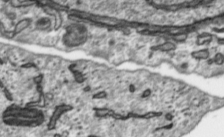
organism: Toxoplasma gondii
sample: Parasites in a vacuole inside a host cell